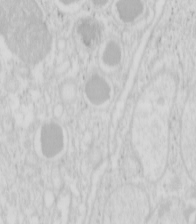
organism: Mouse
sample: Pancreas